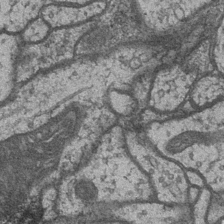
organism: Drosophila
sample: Optic medulla